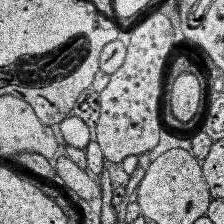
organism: Human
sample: Temporal Lobe